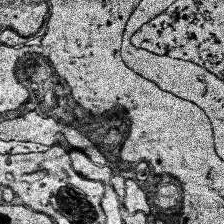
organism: Human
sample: Temporal Lobe